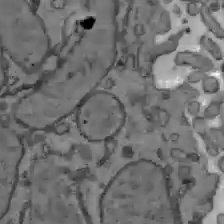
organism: C57BL Mouse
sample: Liver